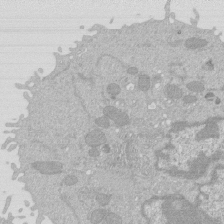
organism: Mouse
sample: Activated Pmel transgenic CD8+ T Cells